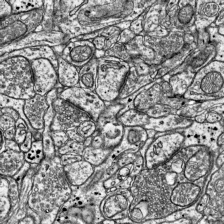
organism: Mouse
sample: Visual Cortex